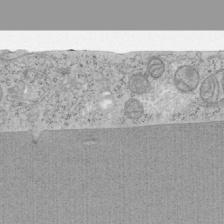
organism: Human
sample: HeLa cells